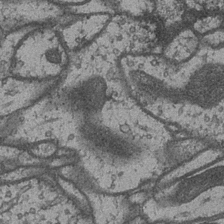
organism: Drosophila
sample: Optic medulla